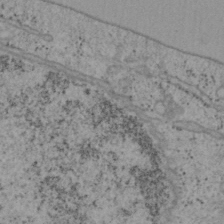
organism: Human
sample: HeLa cells